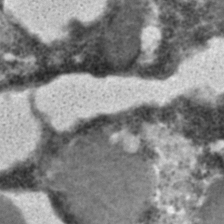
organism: C. elegans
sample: C. elegans embryo